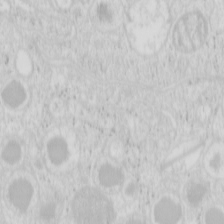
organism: Mouse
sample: Pancreas